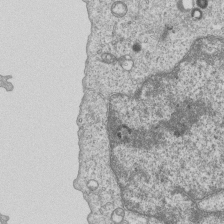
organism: Human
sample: MDA-MB-231 cells